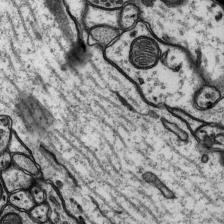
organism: Rat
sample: Hippocampus